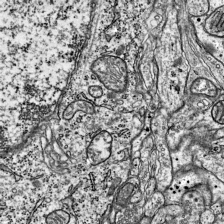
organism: Mouse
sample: Visual Cortex